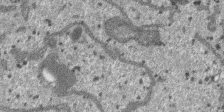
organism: Human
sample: Lung epithelial cells infected with SARS-CoV-2